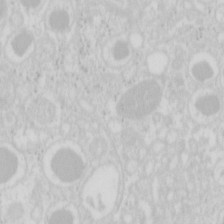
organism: Mouse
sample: Pancreas